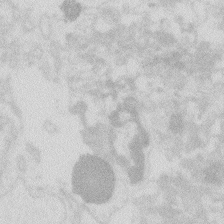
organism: Zebrafish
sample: Macrophage